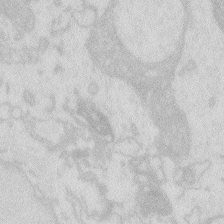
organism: Zebrafish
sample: Macrophage